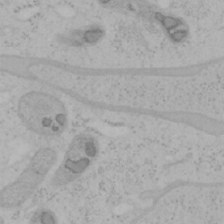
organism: Mouse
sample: OT-I killer T cells with ID8 ovarian cancer cells